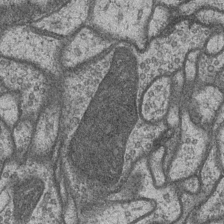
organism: Drosophila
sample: Optic medulla